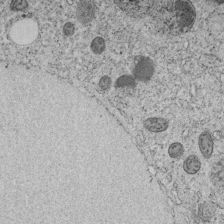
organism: C. elegans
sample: C. elegans embryo early stage